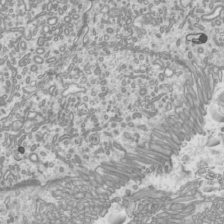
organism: Mouse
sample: Cilia; mouse epididymis